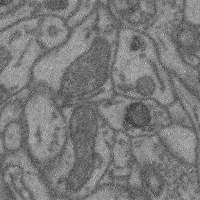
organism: Mouse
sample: Cerebral cortex